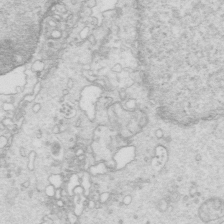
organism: Mouse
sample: Multiciliated cells